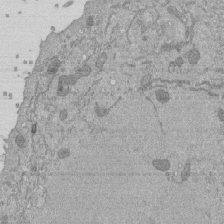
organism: Mouse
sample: ED-1 cell nuclei; centrioles